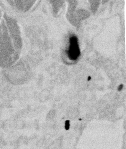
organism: Mouse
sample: T cell stromal cell synapse